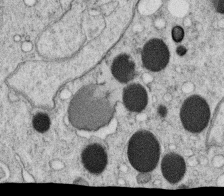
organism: C. elegans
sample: C. elegans oocyte; sperm cells